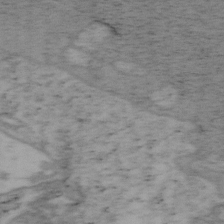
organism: Mouse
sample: OT-I killer T cells with ID8 ovarian cancer cells